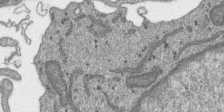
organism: Human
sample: Lung epithelial cells infected with SARS-CoV-2